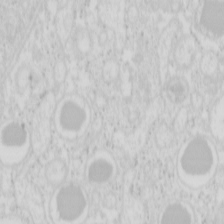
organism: Mouse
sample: Pancreas